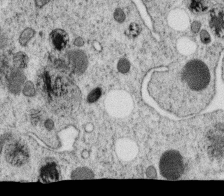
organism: C. elegans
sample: C. elegans oocyte; sperm cells